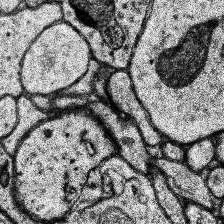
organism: Human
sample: Temporal Lobe